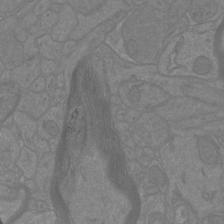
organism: Mouse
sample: Cortical neurons